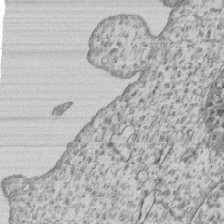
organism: Human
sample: MDA-MB-231 cells